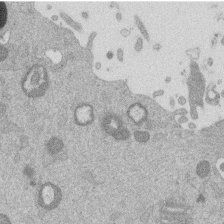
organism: Mouse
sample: Dividing mouse embryo 1 cell stage